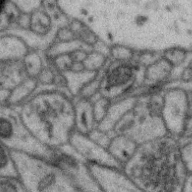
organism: Zebra finch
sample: Brain